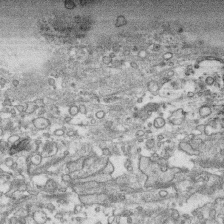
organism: Human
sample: CRL-1474